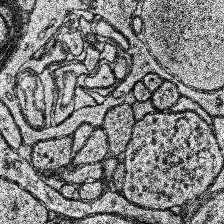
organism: Human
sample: Temporal Lobe